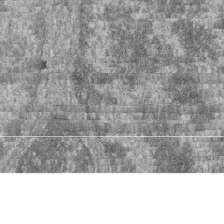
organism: Zebrafish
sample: Cilia; retinal pigment epithelium